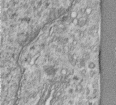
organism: Human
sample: Centriole in RPE cells